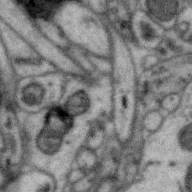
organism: Zebra finch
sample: Brain